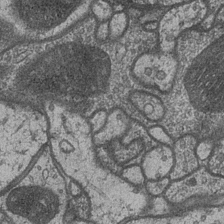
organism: Drosophila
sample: Optic medulla